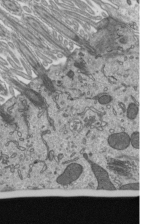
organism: Mouse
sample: Mouse epididymis efferent ductule cilia